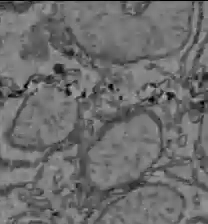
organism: C57BL Mouse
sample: Liver